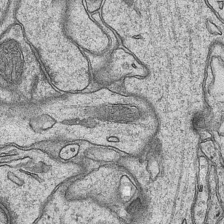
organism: Mouse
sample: CA1 Hippocampus